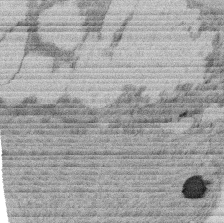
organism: Rat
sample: Salivary granule